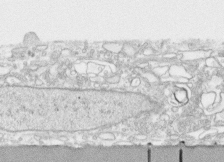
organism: Human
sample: CRL-1474